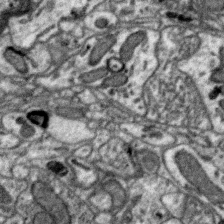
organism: Zebra finch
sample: Brain